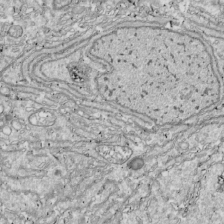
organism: Drosophila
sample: Cell division; meiosis; drosophila spermatocytes